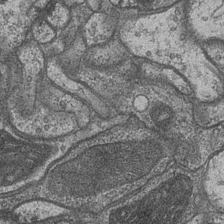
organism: Drosophila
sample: Optic medulla